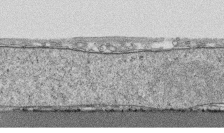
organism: Human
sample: CRL-1474